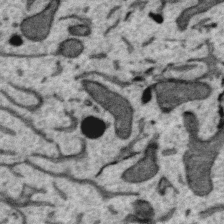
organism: Zebra finch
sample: Brain